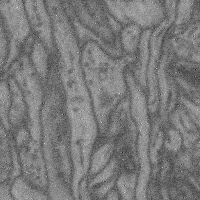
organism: Mouse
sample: Cerebral cortex